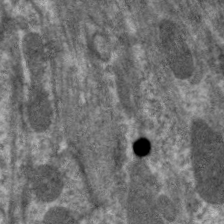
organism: C. elegans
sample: Pharynx